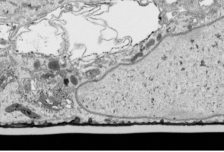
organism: Human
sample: Mitochondria in HCT116 cells